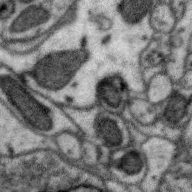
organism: Zebra finch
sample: Brain